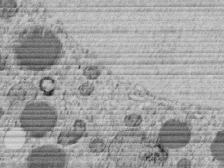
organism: C. elegans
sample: C. elegans embryo early stage